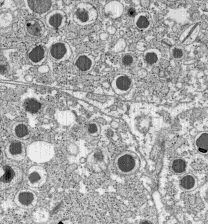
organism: C57BL Mouse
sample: Pancreatic islet